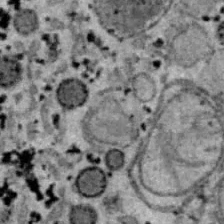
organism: Mouse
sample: Liver from an obese (ob/ob) mouse